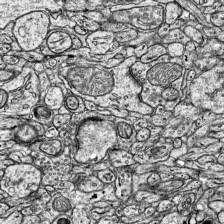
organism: Mouse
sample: Visual Cortex